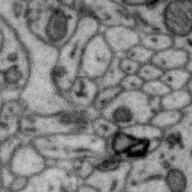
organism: Zebra finch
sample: Brain